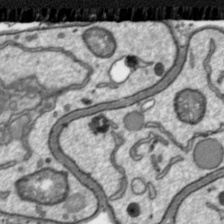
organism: Toxoplasma gondii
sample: Parasites in a vacuole inside a host cell